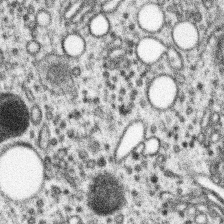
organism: Human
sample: HeLa cells